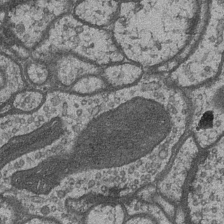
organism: Drosophila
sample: Optic medulla